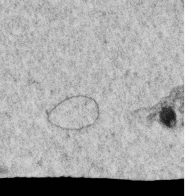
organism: C. elegans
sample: C. elegans oocyte; sperm cells